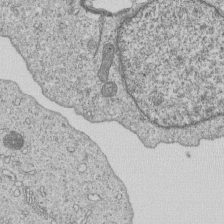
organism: Human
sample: MDA-MB-231 cells